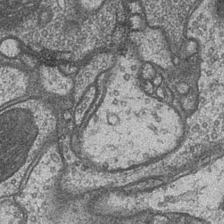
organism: Drosophila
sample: Optic medulla